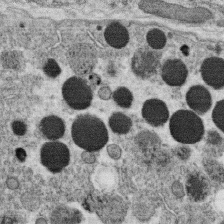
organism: C. elegans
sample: C. elegans oocyte; sperm cells